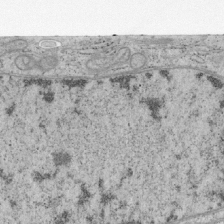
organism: Human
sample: HeLa cells